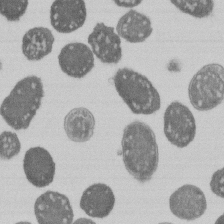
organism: E. coli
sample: Bacterial nucleoid